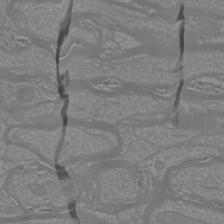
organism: Mouse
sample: Cortical neurons